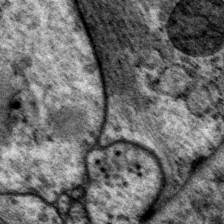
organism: P. pacificus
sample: Pharynx